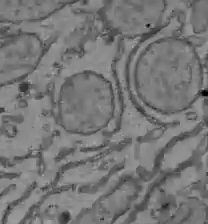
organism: C57BL Mouse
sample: Liver